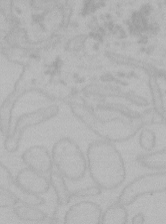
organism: Mouse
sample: Choroid plexus